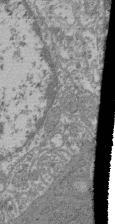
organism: Mouse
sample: Glomerulus